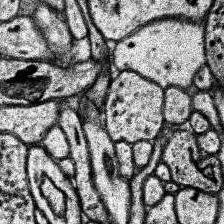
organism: Human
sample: Temporal Lobe